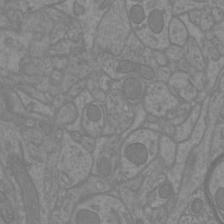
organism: Mouse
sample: Cortical neurons